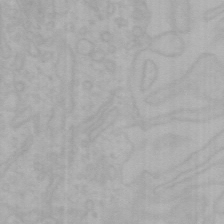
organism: Mouse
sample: Choroid plexus